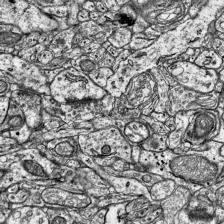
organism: Mouse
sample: Visual Cortex